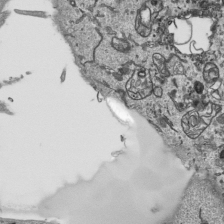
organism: Human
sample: Mitochondria in HCT116 cells